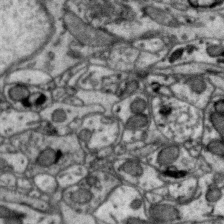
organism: Zebra finch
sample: Brain